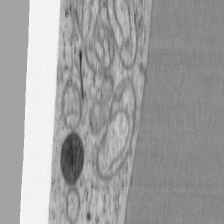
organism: Human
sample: HeLa cells